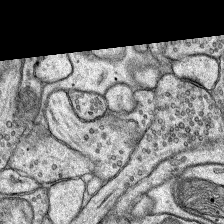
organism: Rat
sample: Hippocampus